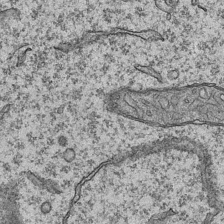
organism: Mouse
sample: CA1 Hippocampus